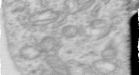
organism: Human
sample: Centriole in RPE cells